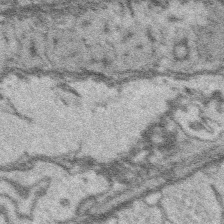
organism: Platynereis dumerilii